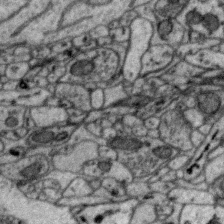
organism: Zebra finch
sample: Brain